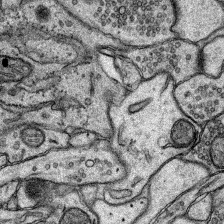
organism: Rat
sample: Hippocampus